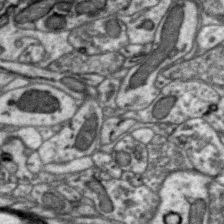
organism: Zebra finch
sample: Brain